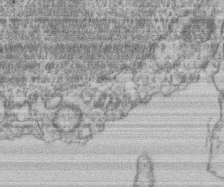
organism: Mouse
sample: T cell stromal cell synapse